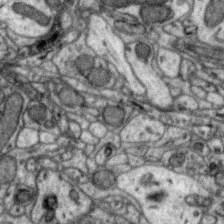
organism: Zebra finch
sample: Brain